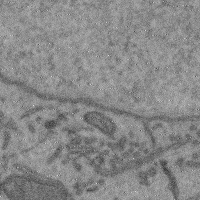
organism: Mouse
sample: Cerebral cortex